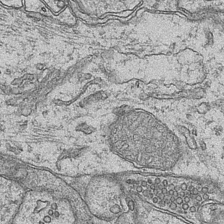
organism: Mouse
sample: CA1 Hippocampus